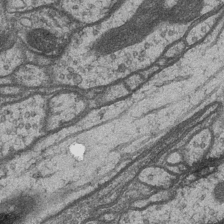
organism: Drosophila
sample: Optic medulla